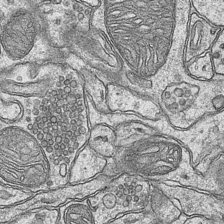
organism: Mouse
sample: CA1 Hippocampus